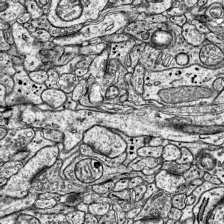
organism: Mouse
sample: Visual Cortex